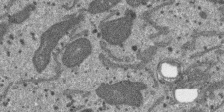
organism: Human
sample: Lung epithelial cells infected with SARS-CoV-2